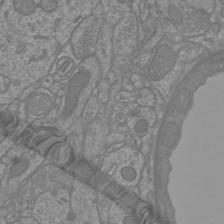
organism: Mouse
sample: Cortical neurons